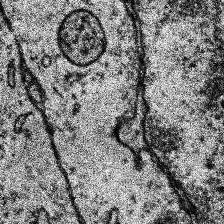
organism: Human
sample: Temporal Lobe